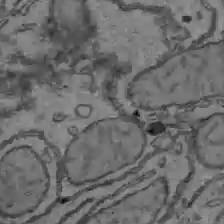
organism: C57BL Mouse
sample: Liver